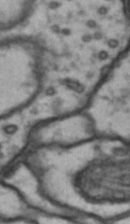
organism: Drosophila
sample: Brain